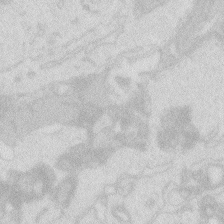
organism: Zebrafish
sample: Macrophage